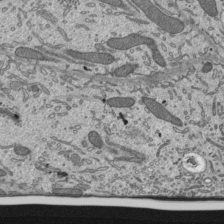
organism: Mouse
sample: Mouse epididymis efferent ductule cilia